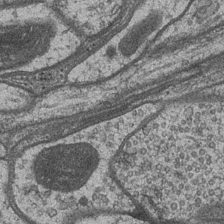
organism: Drosophila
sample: Optic medulla